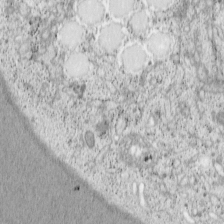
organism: African green monkey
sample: COS-7 cells